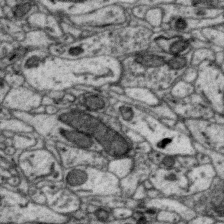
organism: Zebra finch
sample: Brain